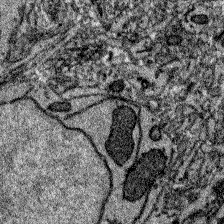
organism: Zebrafish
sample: Larval olfactory bulb